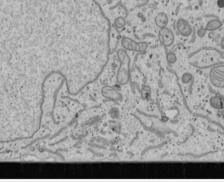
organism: Human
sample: Mitochondria in U2OS cells